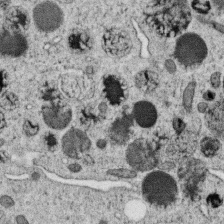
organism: C. elegans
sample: C. elegans oocyte; sperm cells